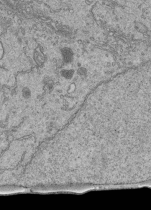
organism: Human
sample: Retinal organoid Rod and Cone cells